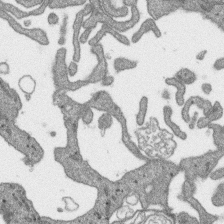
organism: Human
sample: Lung epithelial cells infected with SARS-CoV-2